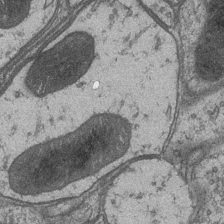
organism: Drosophila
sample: Optic medulla